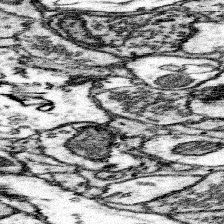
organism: Mouse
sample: Somatosensory cortex neuropil